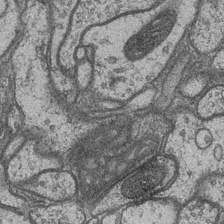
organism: Drosophila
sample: Optic medulla